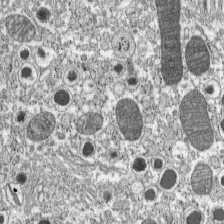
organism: C57BL Mouse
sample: Pancreatic islet